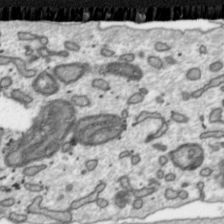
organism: Toxoplasma gondii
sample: Parasites in a vacuole inside a host cell